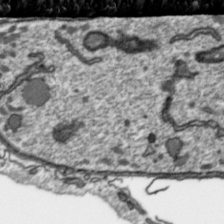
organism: Toxoplasma gondii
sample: Parasites in a vacuole inside a host cell